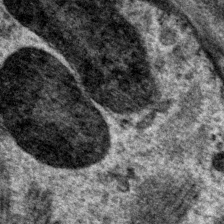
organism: P. pacificus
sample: Pharynx